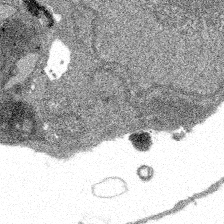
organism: Spongilla lacustris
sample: Multiple